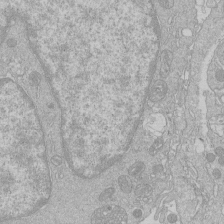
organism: Human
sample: Macrophage cells